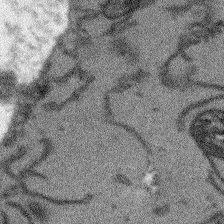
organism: Arabidopsis thaliana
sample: Root tip